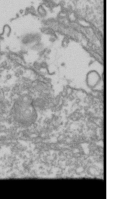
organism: Drosophila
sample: Cell division; meiosis; drosophila spermatocytes